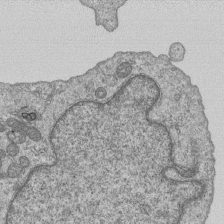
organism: Human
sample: MDA-MB-231 cells